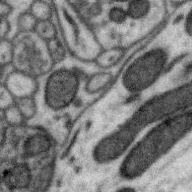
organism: Zebra finch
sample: Brain